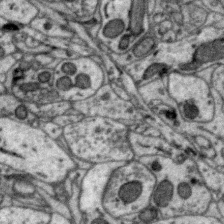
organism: Zebra finch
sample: Brain